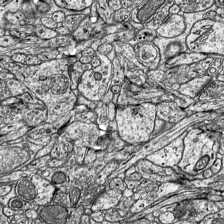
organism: Mouse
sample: Visual Cortex